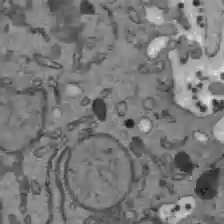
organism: C57BL Mouse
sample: Liver